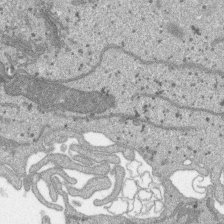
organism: Human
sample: Lung epithelial cells infected with SARS-CoV-2